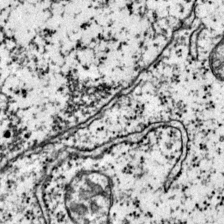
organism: Mouse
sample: Primary visual cortex